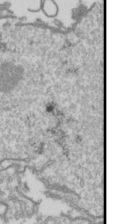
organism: Drosophila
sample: Cell division; meiosis; drosophila spermatocytes